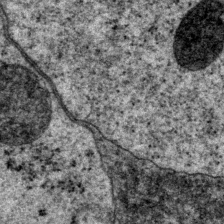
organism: P. pacificus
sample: Pharynx